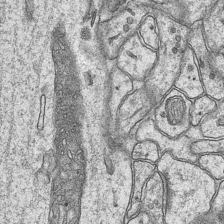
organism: Mouse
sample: CA1 Hippocampus